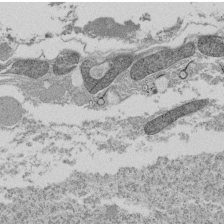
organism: Tetrahymena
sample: Cilia in tetrahymena